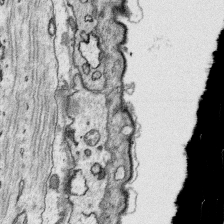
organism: Platynereis dumerilii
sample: Parapodia